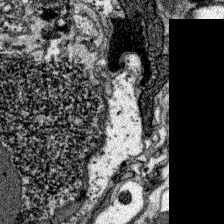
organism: Zebrafish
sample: Larval olfactory bulb